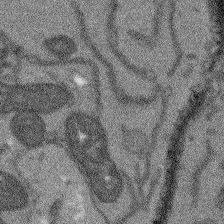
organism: Arabidopsis thaliana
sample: Root tip